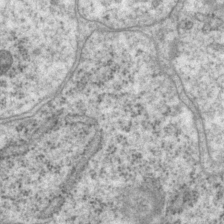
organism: P. pacificus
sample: Pharynx